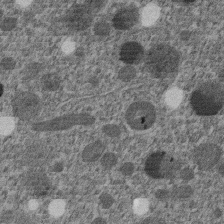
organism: C. elegans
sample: C. elegans embryo early stage